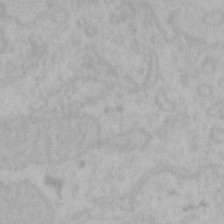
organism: Mouse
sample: Choroid plexus